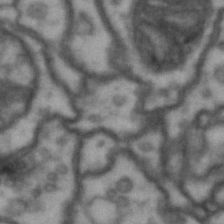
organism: Drosophila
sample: Brain